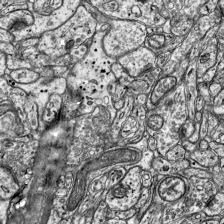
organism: Mouse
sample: Visual Cortex